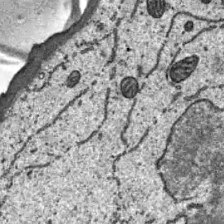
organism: Human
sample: HeLa cells